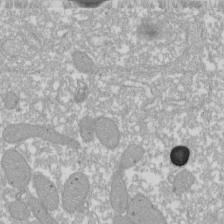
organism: Xenopus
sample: Cilia; centrioles in frog embryo cells